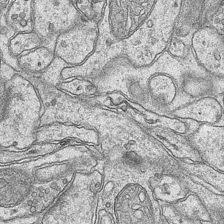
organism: Mouse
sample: CA1 Hippocampus